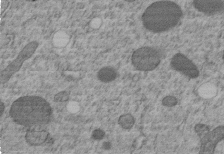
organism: C. elegans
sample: C. elegans embryo early stage